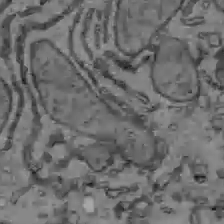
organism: C57BL Mouse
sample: Liver